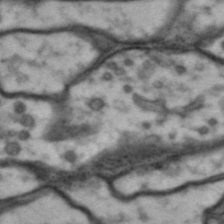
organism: Drosophila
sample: Brain